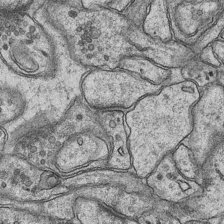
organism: Mouse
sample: CA1 Hippocampus